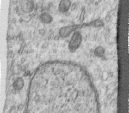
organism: Human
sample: Centriole in RPE cells